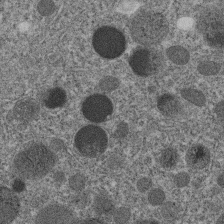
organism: C. elegans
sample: C. elegans embryo early stage